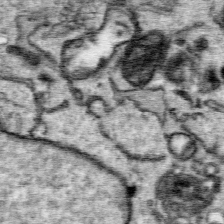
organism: Human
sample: HeLa cells